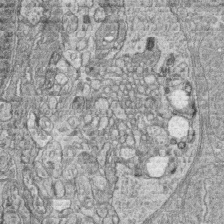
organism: Zebrafish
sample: synaptic ribbons in rod cells and cone cells